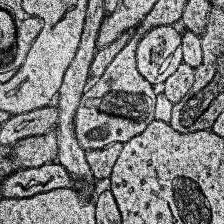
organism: Human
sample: Temporal Lobe